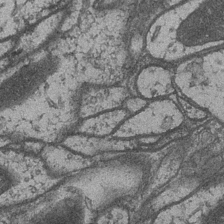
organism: Drosophila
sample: Optic medulla